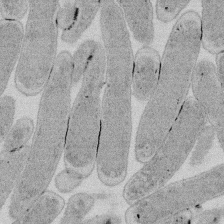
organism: E. coli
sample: Bacterial nucleoid